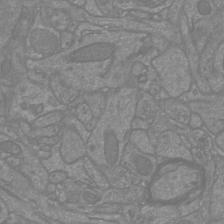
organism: Mouse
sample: Cortical neurons